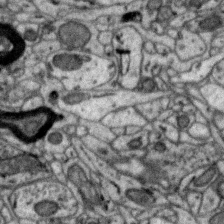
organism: Zebra finch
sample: Brain